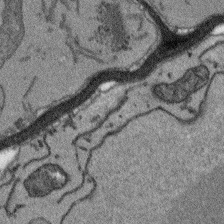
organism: Arabidopsis thaliana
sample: Root tip